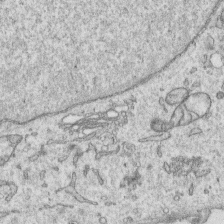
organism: Human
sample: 1205lu cells